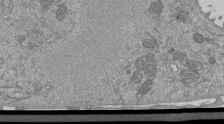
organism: Mouse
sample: ED-1 cell nuclei; centrioles